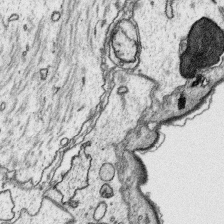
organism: Platynereis dumerilii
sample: Parapodia